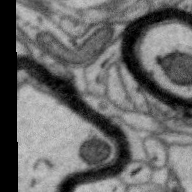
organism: Zebra finch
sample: Brain